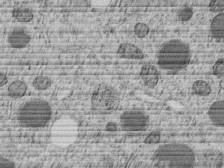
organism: C. elegans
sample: C. elegans embryo early stage